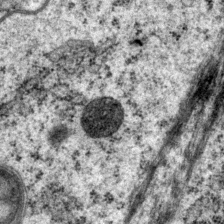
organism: P. pacificus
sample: Pharynx